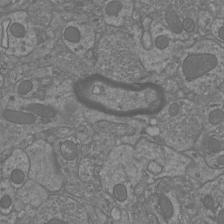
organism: Mouse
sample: Cortical neurons